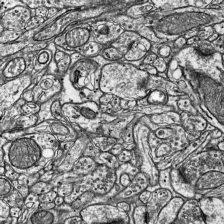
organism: Mouse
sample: Visual Cortex